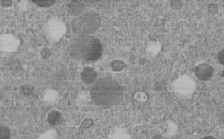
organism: C. elegans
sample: C. elegans embryo early stage